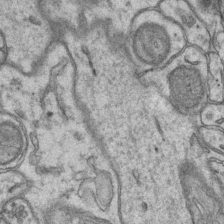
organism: Mouse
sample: CA1 Hippocampus